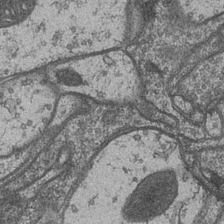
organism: Drosophila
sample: Optic medulla